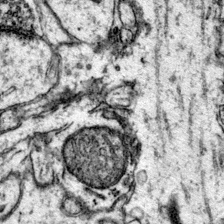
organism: Mouse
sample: Primary visual cortex